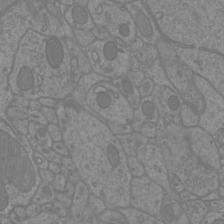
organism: Mouse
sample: Cortical neurons